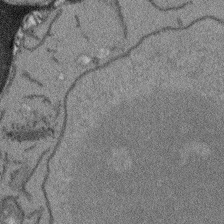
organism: Arabidopsis thaliana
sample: Root tip